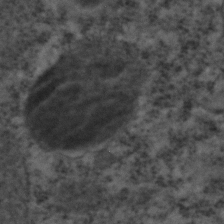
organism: C. elegans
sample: C. elegans embryo